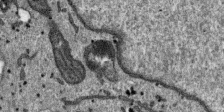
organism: Human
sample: Lung epithelial cells, uninfected (mock) control